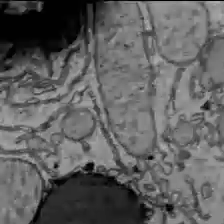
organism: C57BL Mouse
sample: Liver